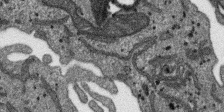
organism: Human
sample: Lung epithelial cells infected with SARS-CoV-2